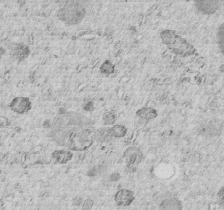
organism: C. elegans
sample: C. elegans embryo early stage